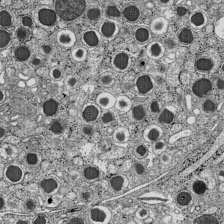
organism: C57BL Mouse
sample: Pancreatic islet